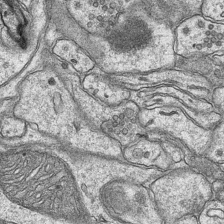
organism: Mouse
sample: CA1 Hippocampus